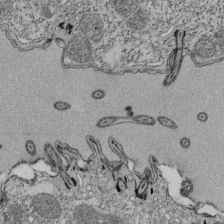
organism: Tetrahymena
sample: Cilia in tetrahymena